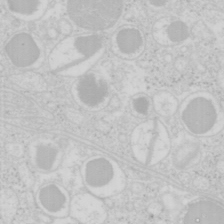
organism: Mouse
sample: Pancreas